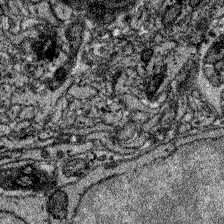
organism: Zebrafish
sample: Larval olfactory bulb